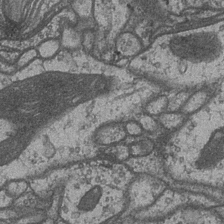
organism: Drosophila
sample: Optic medulla